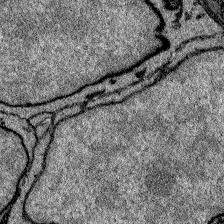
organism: Zebrafish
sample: Larval olfactory bulb